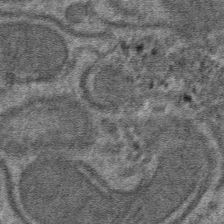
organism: Mouse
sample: Mouse hepatocytes